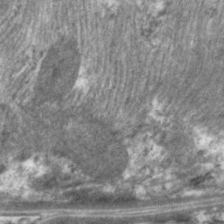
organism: C. elegans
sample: Pharynx